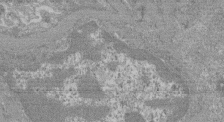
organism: Mouse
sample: Glomerulus